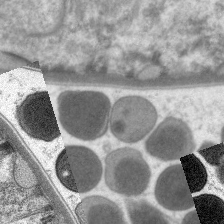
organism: C. elegans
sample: Pharynx